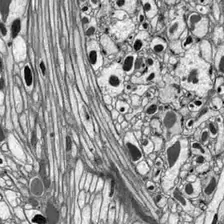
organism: Drosophila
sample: Optic lobe